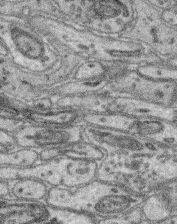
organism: Mouse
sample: Retina